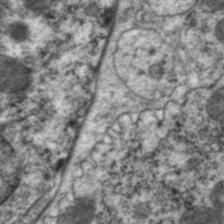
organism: C. elegans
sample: Pharynx